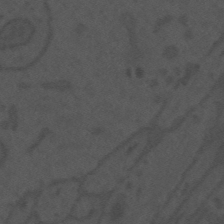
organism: Mouse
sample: Suprachiasmatic nucleus